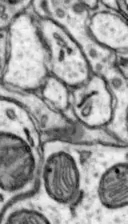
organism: Mouse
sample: Nucleus accumbens